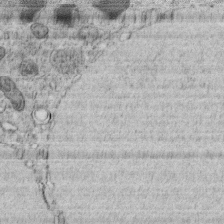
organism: C. elegans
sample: C. elegans embryo early stage